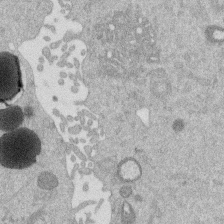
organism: Mouse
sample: Dividing mouse embryo 1 cell stage